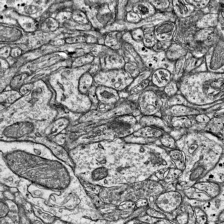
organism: Mouse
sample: Visual Cortex